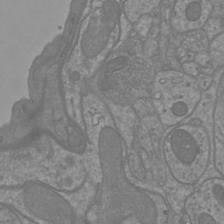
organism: Mouse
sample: Cortical neurons